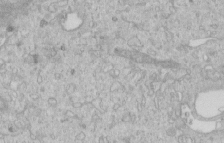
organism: Human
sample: Centriole in RPE cells